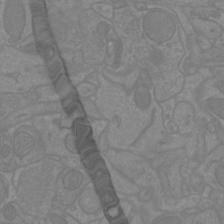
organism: Mouse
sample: Cortical neurons